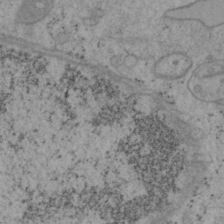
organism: Human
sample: HeLa cells